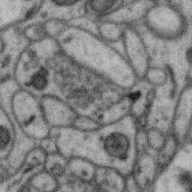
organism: Zebra finch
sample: Brain